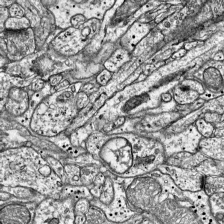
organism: Mouse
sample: Visual Cortex